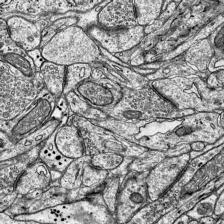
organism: Mouse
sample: Visual Cortex